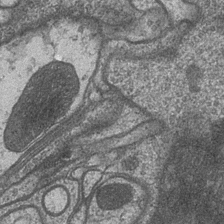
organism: Drosophila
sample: Optic medulla